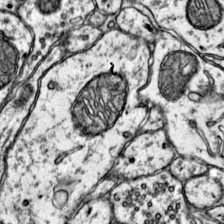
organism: Mouse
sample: Primary visual cortex